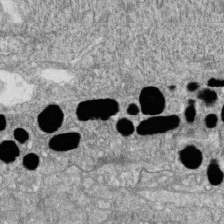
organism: Zebrafish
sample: Cilia; retinal pigment epithelium